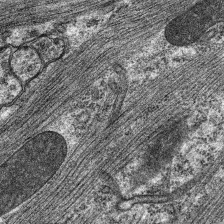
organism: C. elegans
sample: Pharynx